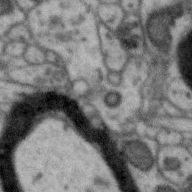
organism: Zebra finch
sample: Brain